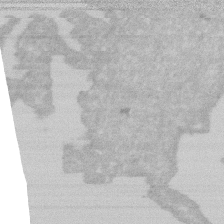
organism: Human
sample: HIV infected U937 cells